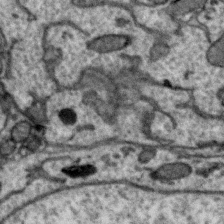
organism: Zebra finch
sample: Brain